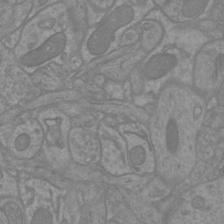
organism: Mouse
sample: Cortical neurons